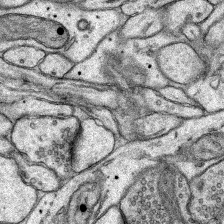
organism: Rat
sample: Hippocampus